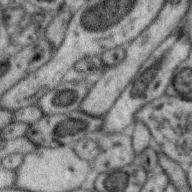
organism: Zebra finch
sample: Brain